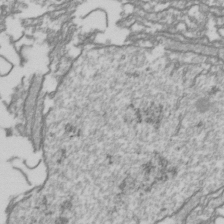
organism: Drosophila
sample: Cell division; meiosis; drosophila spermatocytes